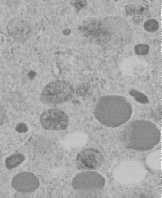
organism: C. elegans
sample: C. elegans embryo early stage